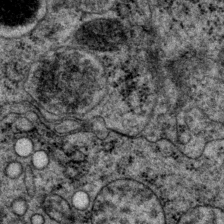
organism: P. pacificus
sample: Pharynx